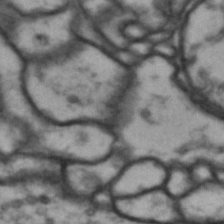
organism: Drosophila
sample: Brain